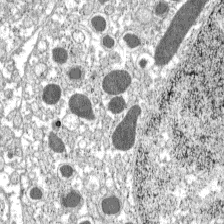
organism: C57BL Mouse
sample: Pancreatic islet